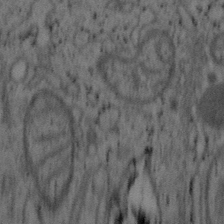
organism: Human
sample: HeLa cells